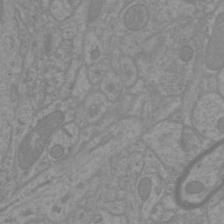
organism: Mouse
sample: Cortical neurons